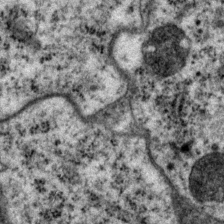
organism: P. pacificus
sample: Pharynx